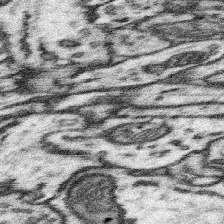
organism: Mouse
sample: Somatosensory cortex neuropil